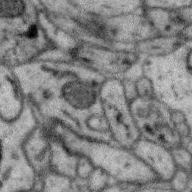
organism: Zebra finch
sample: Brain